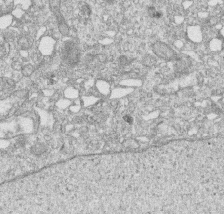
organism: Human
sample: HeLa cell HIV synapse